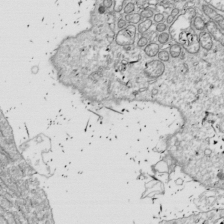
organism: Drosophila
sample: Cell division; meiosis; drosophila spermatocytes